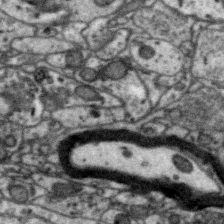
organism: Zebra finch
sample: Brain